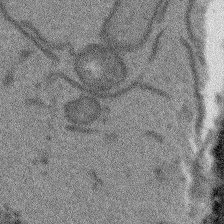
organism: Arabidopsis thaliana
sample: Root tip